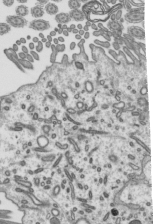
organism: Mouse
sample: Mouse epididymis efferent ductule cilia